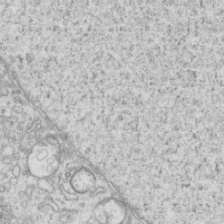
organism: Mouse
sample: Centriole in ependymal cells